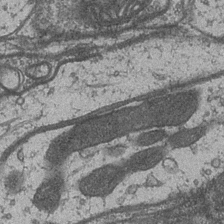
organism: Drosophila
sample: Optic medulla